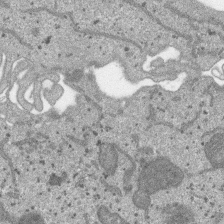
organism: Human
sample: Lung epithelial cells infected with SARS-CoV-2